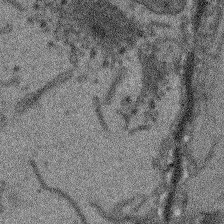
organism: Arabidopsis thaliana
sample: Root tip